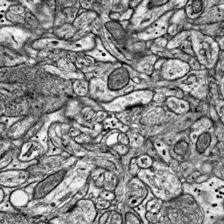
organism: Mouse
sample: Visual Cortex